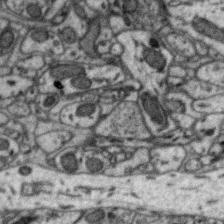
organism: Zebra finch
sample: Brain